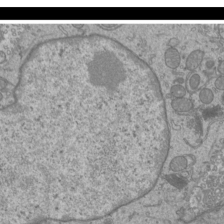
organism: Mouse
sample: Cilia; mouse epididymis